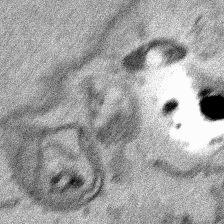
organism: Human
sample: Mitochondria in HCT116 cells